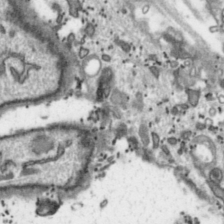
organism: Toxoplasma gondii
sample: Parasites in a vacuole inside a host cell